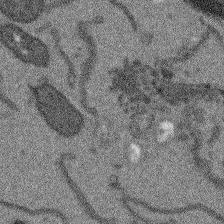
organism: Arabidopsis thaliana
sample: Root tip